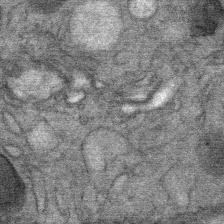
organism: Mouse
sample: Mouse Salivary gland